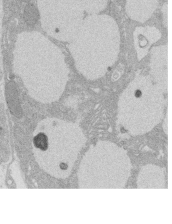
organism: Rat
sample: Salivary granule